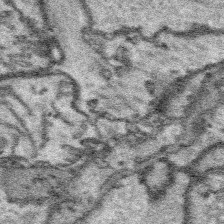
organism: Platynereis dumerilii